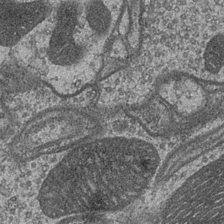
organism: Drosophila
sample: Optic medulla